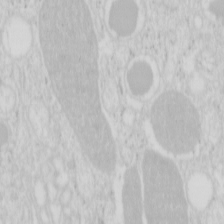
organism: Mouse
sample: Pancreas